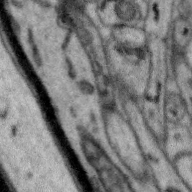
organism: Zebra finch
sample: Brain